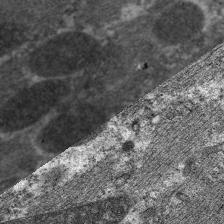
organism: C. elegans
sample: Pharynx